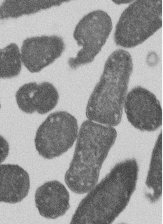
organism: E. coli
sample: Bacterial nucleoid